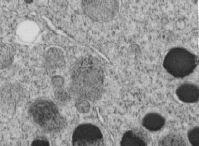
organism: C. elegans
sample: C. elegans embryo early stage